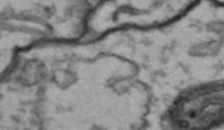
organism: Drosophila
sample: Brain